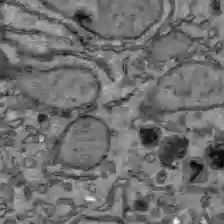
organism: C57BL Mouse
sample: Liver